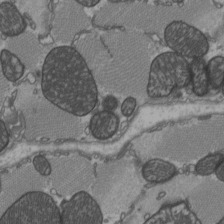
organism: C57BL Mouse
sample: Heart